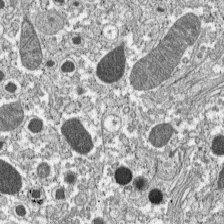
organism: C57BL Mouse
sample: Pancreatic islet